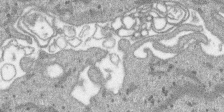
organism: Human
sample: Lung epithelial cells infected with SARS-CoV-2